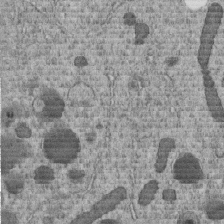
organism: C. elegans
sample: C. elegans embryo early stage